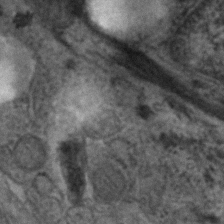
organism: Human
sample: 1205lu cells